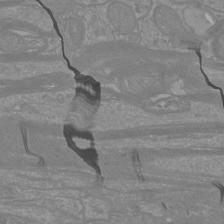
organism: Mouse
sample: Cortical neurons